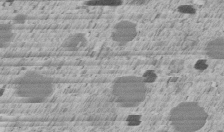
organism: C. elegans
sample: C. elegans embryo early stage